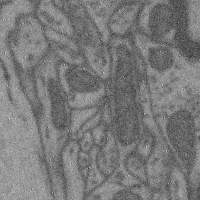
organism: Mouse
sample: Cerebral cortex